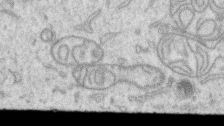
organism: Human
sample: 1205lu cells